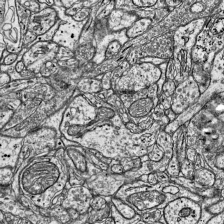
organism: Mouse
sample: Visual Cortex